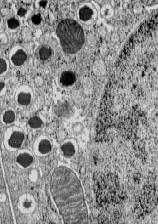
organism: C57BL Mouse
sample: Pancreatic islet